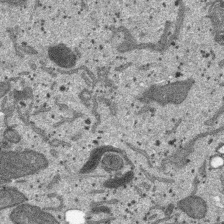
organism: Human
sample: Lung epithelial cells infected with SARS-CoV-2